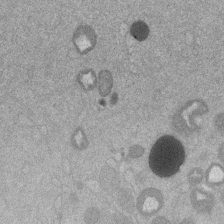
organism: Mouse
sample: Dividing mouse embryo 1 cell stage